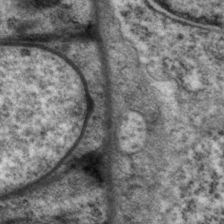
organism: P. pacificus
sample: Pharynx